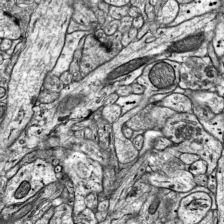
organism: Mouse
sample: Visual Cortex